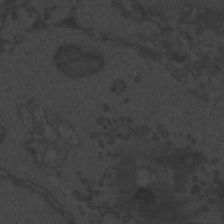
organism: Zebrafish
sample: Macrophage infected with Toxoplasma gondii